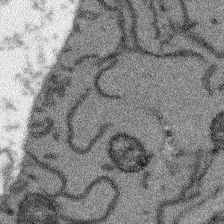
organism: Arabidopsis thaliana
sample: Root tip